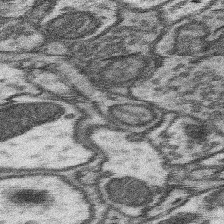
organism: Mouse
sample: Somatosensory cortex neuropil